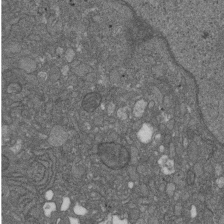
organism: Drosophila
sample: Nephrocyte